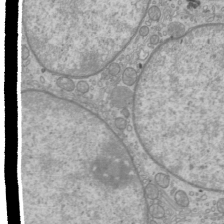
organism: Mouse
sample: Cilia; mouse epididymis